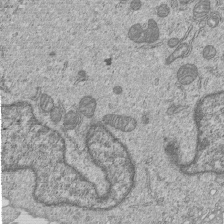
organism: Human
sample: MDA-MB-231 cells